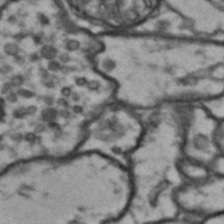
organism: Drosophila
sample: Brain